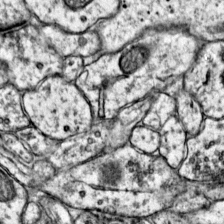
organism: Mouse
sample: Primary visual cortex